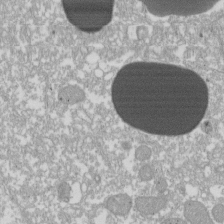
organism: Xenopus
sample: Cilia; centrioles in frog embryo cells